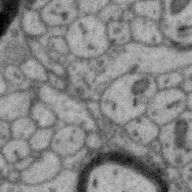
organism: Zebra finch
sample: Brain